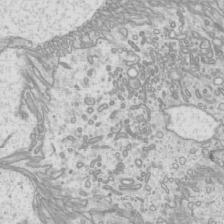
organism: Mouse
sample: Cilia; mouse epididymis